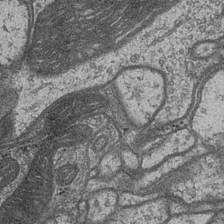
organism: Drosophila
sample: Optic medulla